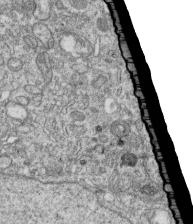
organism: Human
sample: HeLa cell HIV synapse